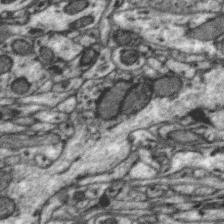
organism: Zebra finch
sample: Brain